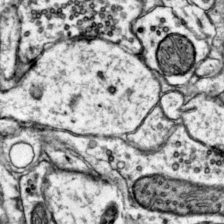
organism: Mouse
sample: Primary visual cortex